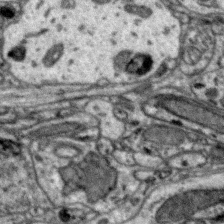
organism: Zebra finch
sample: Brain